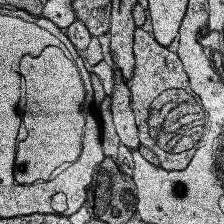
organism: Human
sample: Temporal Lobe